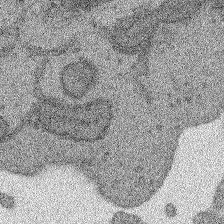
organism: Human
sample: HeLa cells